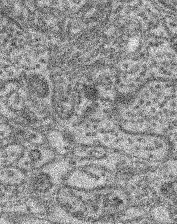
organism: Mouse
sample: Retina